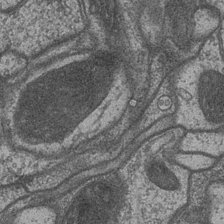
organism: Drosophila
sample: Optic medulla